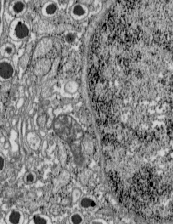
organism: C57BL Mouse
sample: Pancreatic islet